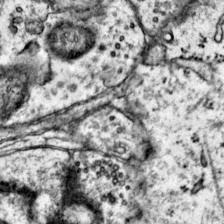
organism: Mouse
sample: Primary visual cortex